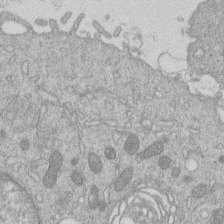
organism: Human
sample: Macrophage cells